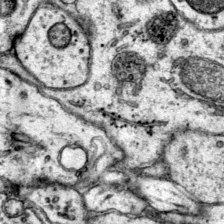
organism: Mouse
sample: Primary visual cortex